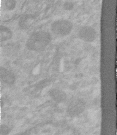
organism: Human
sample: Centriole in RPE cells